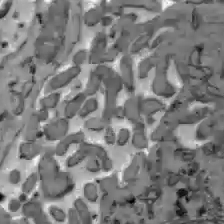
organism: C57BL Mouse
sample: Liver